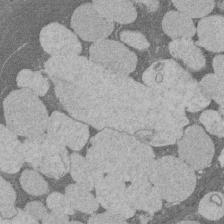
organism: Rat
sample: Salivary granule